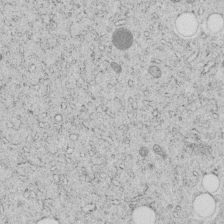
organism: C. elegans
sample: C. elegans embryo early stage